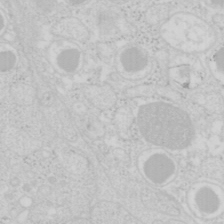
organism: Mouse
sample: Pancreas